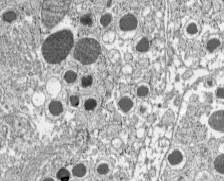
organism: C57BL Mouse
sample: Pancreatic islet